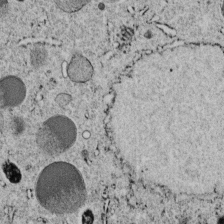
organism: C. elegans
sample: C. elegans embryo early stage